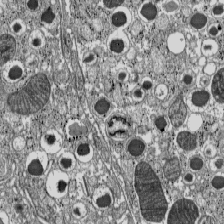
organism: C57BL Mouse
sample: Pancreatic islet